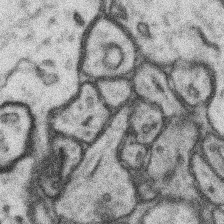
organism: Mouse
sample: Somatosensory cortex neuropil